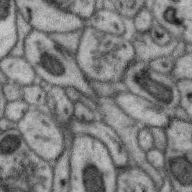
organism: Zebra finch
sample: Brain